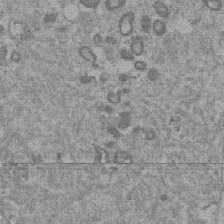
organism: Mouse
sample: Dividing mouse embryo 1 cell stage